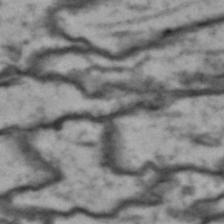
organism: Drosophila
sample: Brain